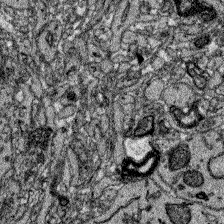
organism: Zebrafish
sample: Larval olfactory bulb